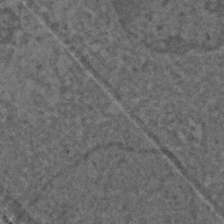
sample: Trachea